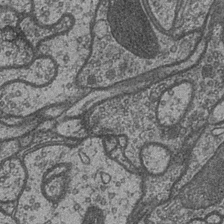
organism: Drosophila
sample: Optic medulla